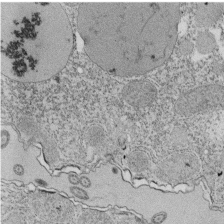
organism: Tetrahymena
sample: Cilia in tetrahymena